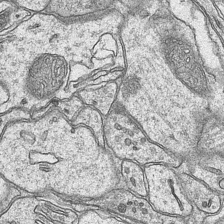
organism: Mouse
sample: CA1 Hippocampus